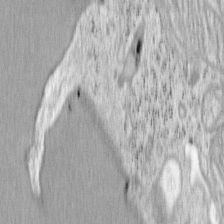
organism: Human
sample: HeLa cells